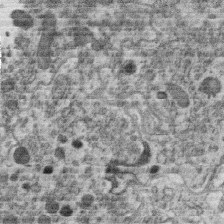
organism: C. elegans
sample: C. elegans oocyte; sperm cells